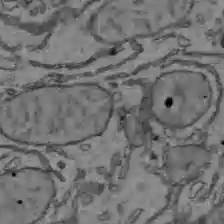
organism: C57BL Mouse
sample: Liver